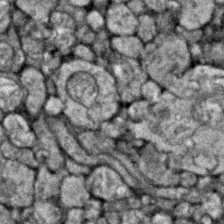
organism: Zebrafish